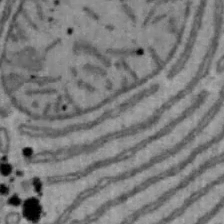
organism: Mouse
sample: Liver